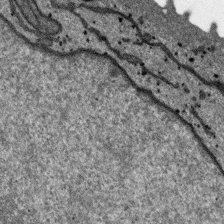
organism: Human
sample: Lung epithelial cells, uninfected (mock) control